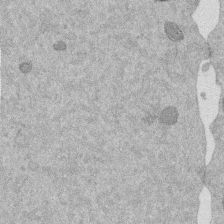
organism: Mouse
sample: Dividing mouse embryo 1 cell stage